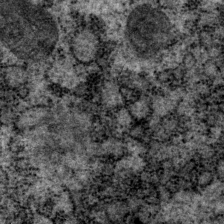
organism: P. pacificus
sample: Pharynx